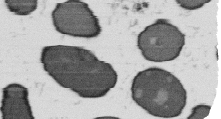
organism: B. subtilis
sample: Bacterial spore